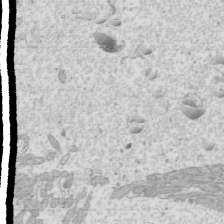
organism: Mouse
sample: Cilia; mouse epididymis